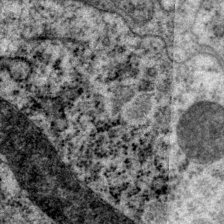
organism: P. pacificus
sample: Pharynx